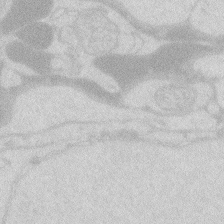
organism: Zebrafish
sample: Macrophage